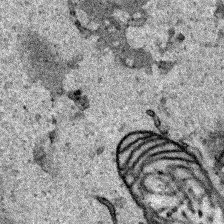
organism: Human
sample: Mitochondria in HCT116 cells